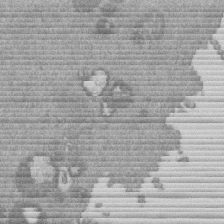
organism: Mouse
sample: Dividing mouse embryo 1 cell stage